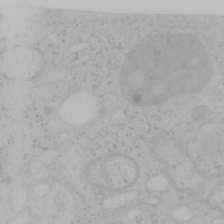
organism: Mouse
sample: OT-I killer T cells with ID8 ovarian cancer cells